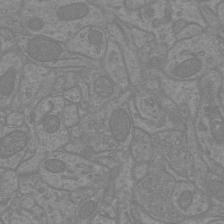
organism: Mouse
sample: Cortical neurons